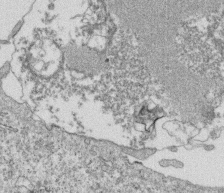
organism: Human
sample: HeLa cell HIV synapse